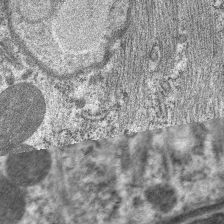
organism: C. elegans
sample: Pharynx